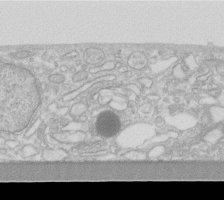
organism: Human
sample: Fibroblast cells